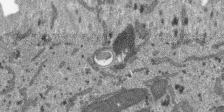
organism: Human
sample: Lung epithelial cells infected with SARS-CoV-2